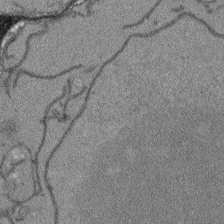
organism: Arabidopsis thaliana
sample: Root tip